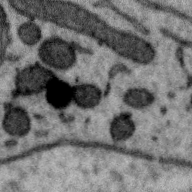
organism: Zebra finch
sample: Brain